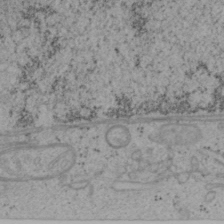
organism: Human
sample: HeLa cells